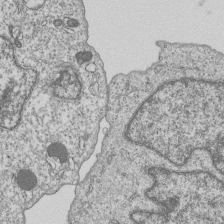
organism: Human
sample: MDA-MB-231 cells